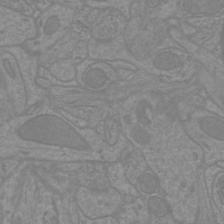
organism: Mouse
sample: Cortical neurons